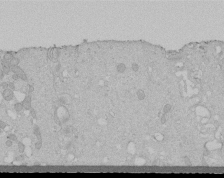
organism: Human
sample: Melanocyte Keratinocyte synapse skin construct